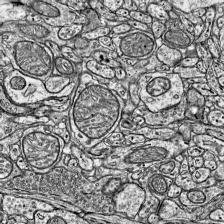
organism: Mouse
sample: Visual Cortex